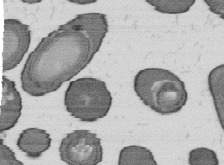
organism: B. subtilis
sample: Bacterial spore